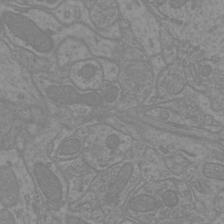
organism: Mouse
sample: Cortical neurons